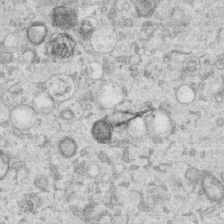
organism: Human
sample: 1205lu cells